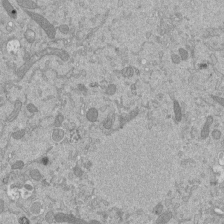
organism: Mouse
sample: ED-1 cell nuclei; centrioles